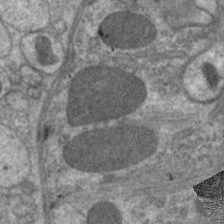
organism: C. elegans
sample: Pharynx